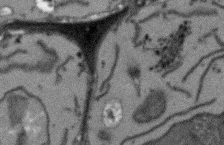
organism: Arabidopsis thaliana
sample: Root tip